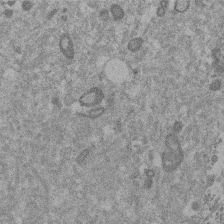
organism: Mouse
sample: Dividing mouse embryo 1 cell stage